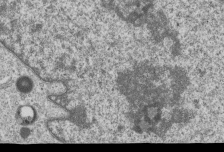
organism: Human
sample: MDA-MB-231 cells